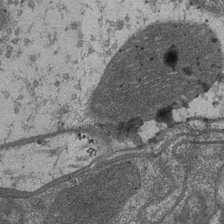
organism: Drosophila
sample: Optic medulla